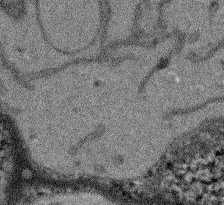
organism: Arabidopsis thaliana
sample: Root tip